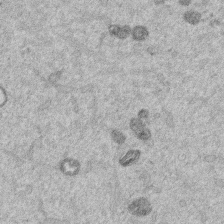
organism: Mouse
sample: Dividing mouse embryo 1 cell stage